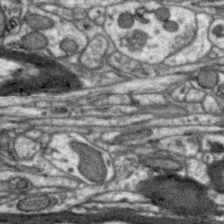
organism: Zebra finch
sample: Brain